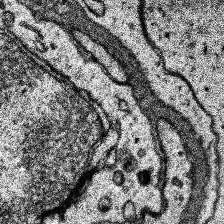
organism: Human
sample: Temporal Lobe